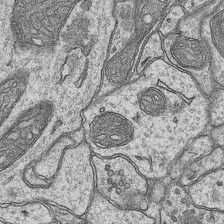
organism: Mouse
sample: CA1 Hippocampus